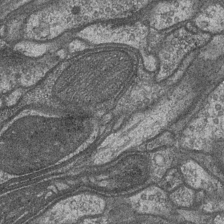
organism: Drosophila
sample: Optic medulla